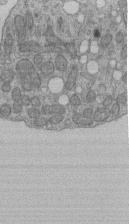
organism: Human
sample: Retinal organoid Rod and Cone cells